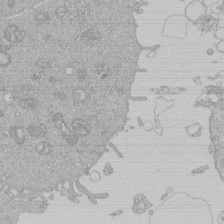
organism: Human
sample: Macrophage cells